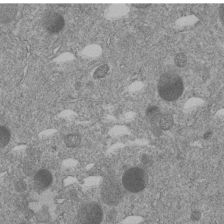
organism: C. elegans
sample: C. elegans embryo early stage